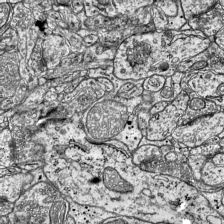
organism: Mouse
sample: Visual Cortex